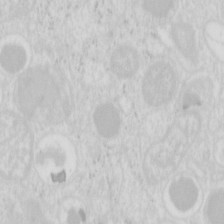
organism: Mouse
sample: Pancreas